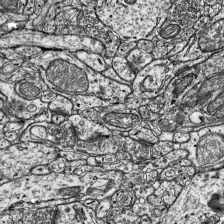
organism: Mouse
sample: Visual Cortex